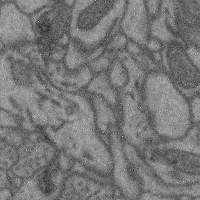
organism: Mouse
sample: Cerebral cortex